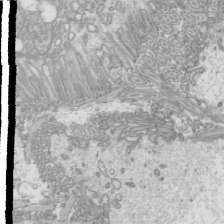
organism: Mouse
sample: Cilia; mouse epididymis